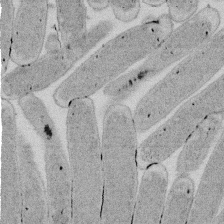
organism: E. coli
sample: Bacterial nucleoid